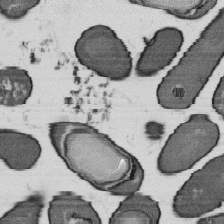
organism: B. subtilis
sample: Bacterial spore